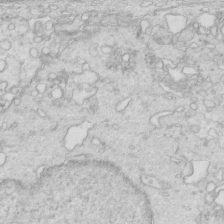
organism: Mouse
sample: Multiciliated cells